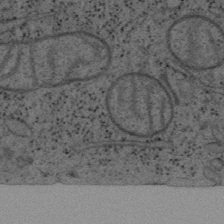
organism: Human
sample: HeLa cells